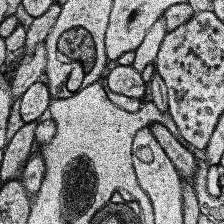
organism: Human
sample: Temporal Lobe